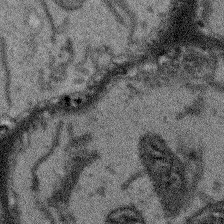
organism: Arabidopsis thaliana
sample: Root tip